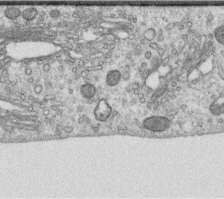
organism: Human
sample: Centriole in RPE cells